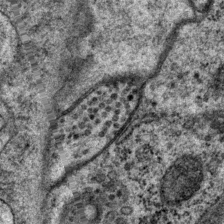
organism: P. pacificus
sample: Pharynx